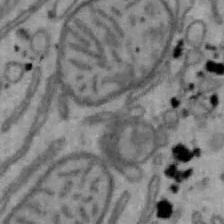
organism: Mouse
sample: Liver